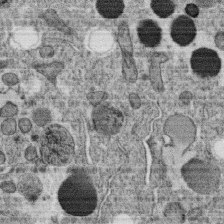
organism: C. elegans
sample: C. elegans oocyte; sperm cells